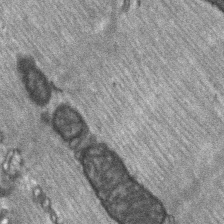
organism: C57BL Mouse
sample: Soleus